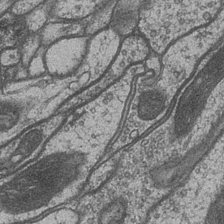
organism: Drosophila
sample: Optic medulla